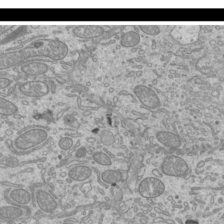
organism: Mouse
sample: Cilia; mouse epididymis